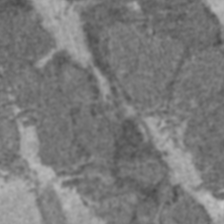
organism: C57BL Mouse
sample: Heart